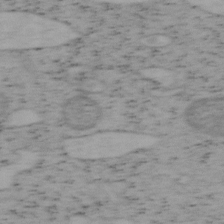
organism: Mouse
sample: OT-I killer T cells with ID8 ovarian cancer cells